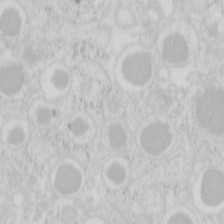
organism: Mouse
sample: Pancreas